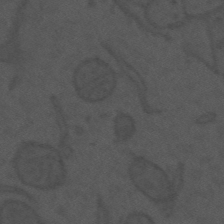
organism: Mouse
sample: Suprachiasmatic nucleus